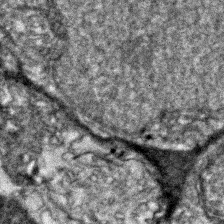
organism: Zebrafish